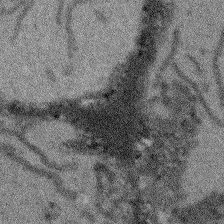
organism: Arabidopsis thaliana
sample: Root tip